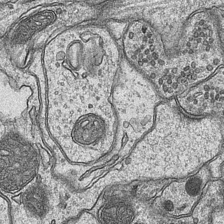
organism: Mouse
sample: CA1 Hippocampus